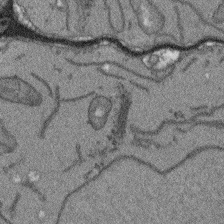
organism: Arabidopsis thaliana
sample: Root tip